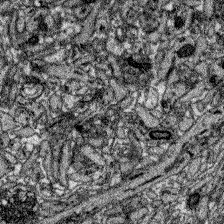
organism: Zebrafish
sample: Larval olfactory bulb